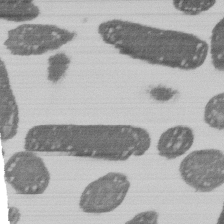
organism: E. coli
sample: Bacterial nucleoid